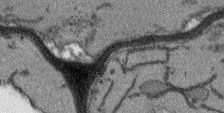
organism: Arabidopsis thaliana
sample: Root tip